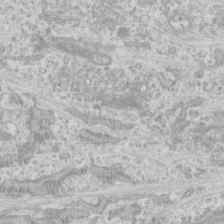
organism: Human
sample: CRL-1474